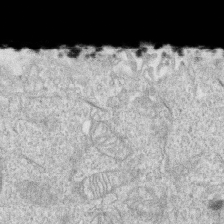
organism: Human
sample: HeLa cell HIV synapse